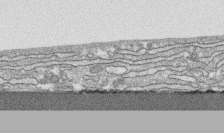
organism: Human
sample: CRL-1474